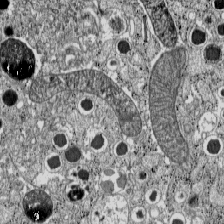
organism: C57BL Mouse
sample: Pancreatic islet